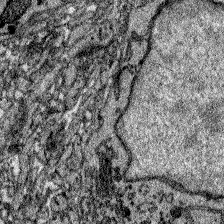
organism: Zebrafish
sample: Larval olfactory bulb